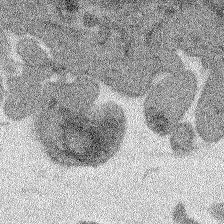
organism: Human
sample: HeLa cells